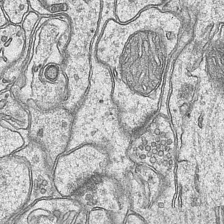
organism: Mouse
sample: CA1 Hippocampus